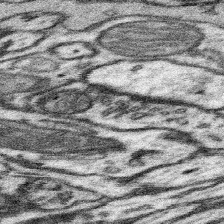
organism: Mouse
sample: Somatosensory cortex neuropil